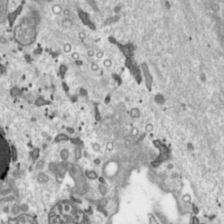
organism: Toxoplasma gondii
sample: Parasites in a vacuole inside a host cell